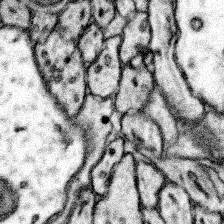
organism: Mouse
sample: Somatosensory cortex neuropil